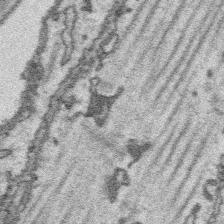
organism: Platynereis dumerilii